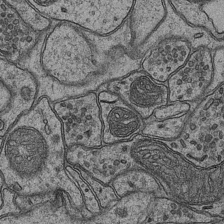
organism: Mouse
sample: CA1 Hippocampus